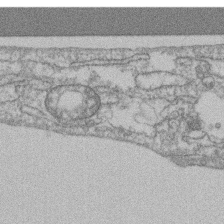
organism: Mouse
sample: T cell stromal cell synapse